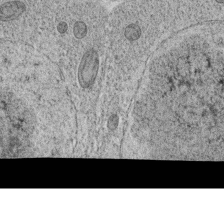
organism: C. elegans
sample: C. elegans oocyte; sperm cells